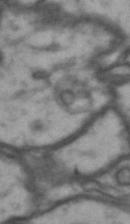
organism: Drosophila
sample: Brain